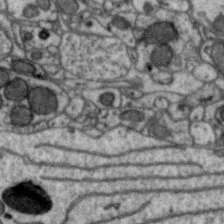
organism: Zebra finch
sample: Brain